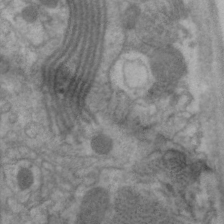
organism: C. elegans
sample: Pharynx